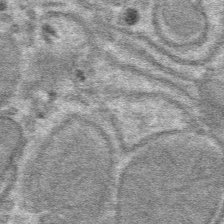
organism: Mouse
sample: Mouse hepatocytes